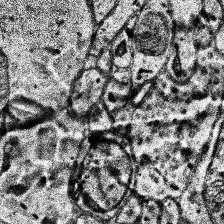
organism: Human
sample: Temporal Lobe